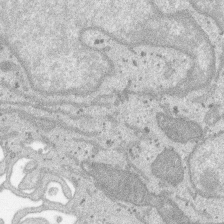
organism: Human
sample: Lung epithelial cells infected with SARS-CoV-2